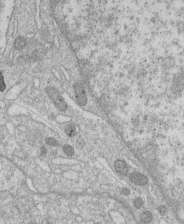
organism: Human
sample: Macrophage cells